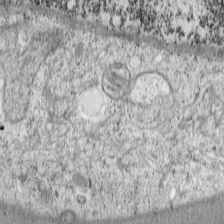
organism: African green monkey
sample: COS-7 cells